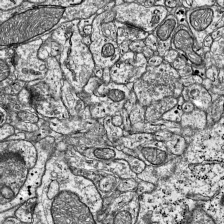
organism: Mouse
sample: Visual Cortex